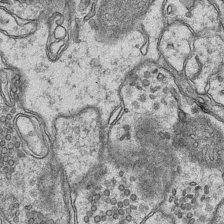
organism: Mouse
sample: CA1 Hippocampus